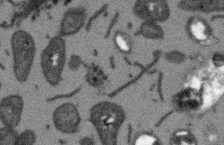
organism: Arabidopsis thaliana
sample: Root tip